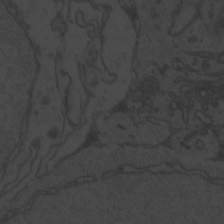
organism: Zebrafish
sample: Macrophage infected with Toxoplasma gondii